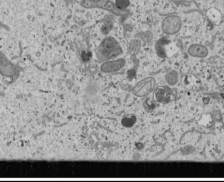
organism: Human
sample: Mitochondria in U2OS cells